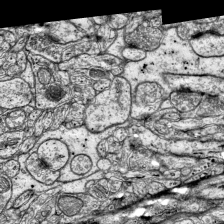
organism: Mouse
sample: Visual Cortex